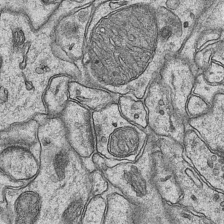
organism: Mouse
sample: CA1 Hippocampus